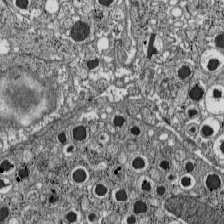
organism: C57BL Mouse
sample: Pancreatic islet